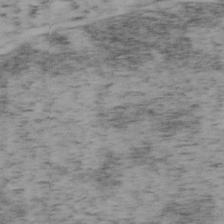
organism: Mouse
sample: OT-I killer T cells with ID8 ovarian cancer cells